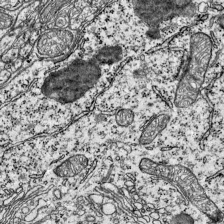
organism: Mouse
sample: Visual Cortex